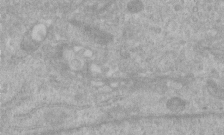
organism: Human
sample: Centriole in RPE cells